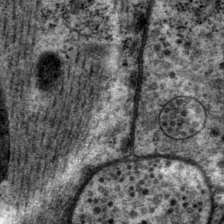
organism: P. pacificus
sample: Pharynx